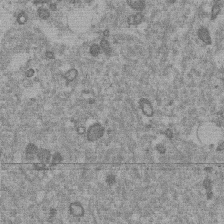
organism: Mouse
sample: Dividing mouse embryo 1 cell stage